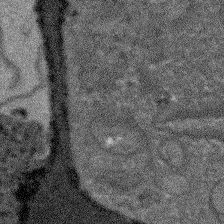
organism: Arabidopsis thaliana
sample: Root tip